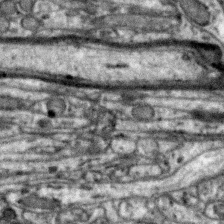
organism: Zebra finch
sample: Brain